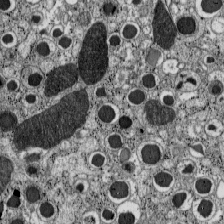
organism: C57BL Mouse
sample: Pancreatic islet